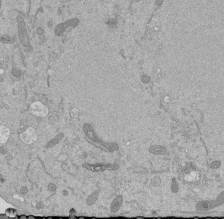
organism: Mouse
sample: ED-1 cell nuclei; centrioles